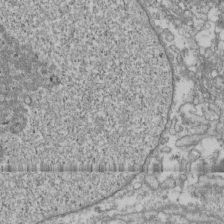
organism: Human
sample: Fibroblast cells